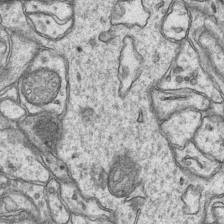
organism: Mouse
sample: CA1 Hippocampus